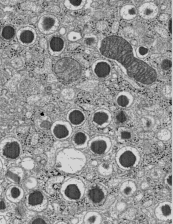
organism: C57BL Mouse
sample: Pancreatic islet